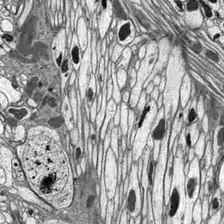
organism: Drosophila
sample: Optic lobe